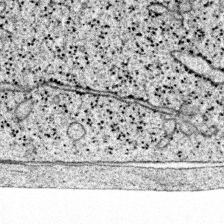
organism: Human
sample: HeLa cells